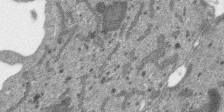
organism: Human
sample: Lung epithelial cells infected with SARS-CoV-2